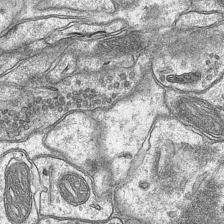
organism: Mouse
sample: CA1 Hippocampus